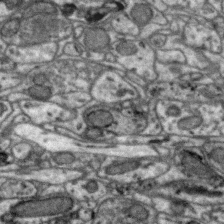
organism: Zebra finch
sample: Brain